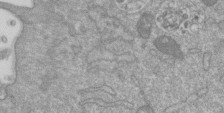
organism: Mouse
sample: ED-1 cell nuclei; centrioles